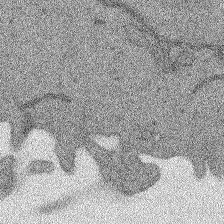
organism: Human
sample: HeLa cells